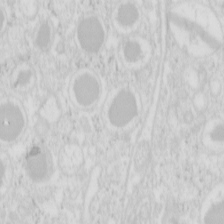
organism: Mouse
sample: Pancreas